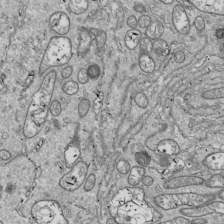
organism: Drosophila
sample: Cell division; meiosis; drosophila spermatocytes